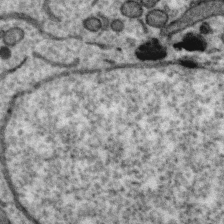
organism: Zebra finch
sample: Brain